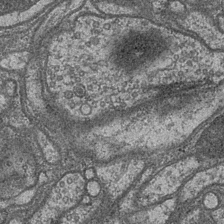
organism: Drosophila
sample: Optic medulla